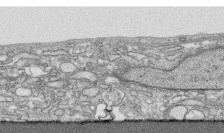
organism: Human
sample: CRL-1474